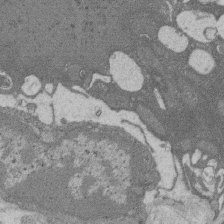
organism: Rat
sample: Salivary granule